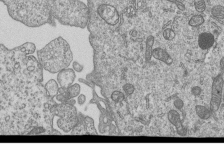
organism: Human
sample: MDA-MB-231 cells